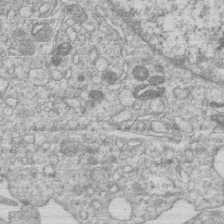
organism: Human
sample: Macrophage cells